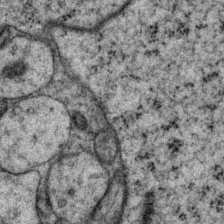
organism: P. pacificus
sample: Pharynx